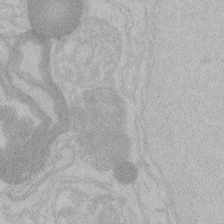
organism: Zebrafish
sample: Macrophage infected with Toxoplasma gondii